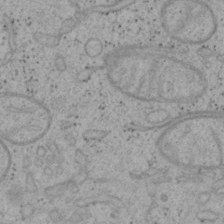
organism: Human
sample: HeLa cells